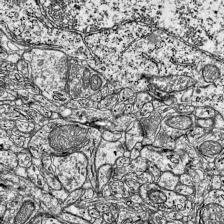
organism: Mouse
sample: Visual Cortex